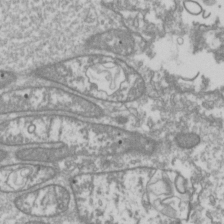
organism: Drosophila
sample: Cell division; meiosis; drosophila spermatocytes